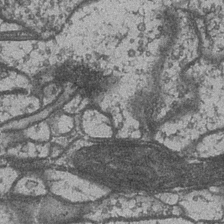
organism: Drosophila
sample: Optic medulla